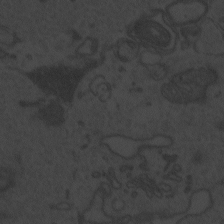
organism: Zebrafish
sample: Macrophage infected with Toxoplasma gondii